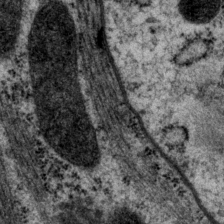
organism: P. pacificus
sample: Pharynx